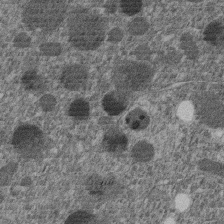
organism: C. elegans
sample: C. elegans embryo early stage